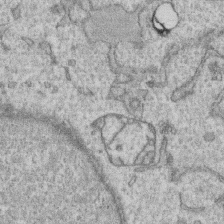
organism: Human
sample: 1205lu cells